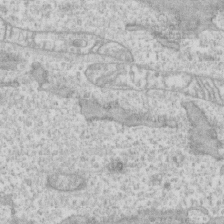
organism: Human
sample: CRL-1474